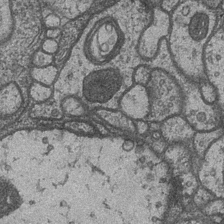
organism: Drosophila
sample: Optic medulla